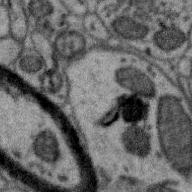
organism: Zebra finch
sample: Brain